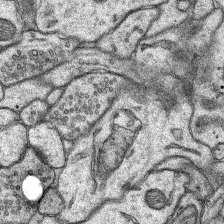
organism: Rat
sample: Hippocampus